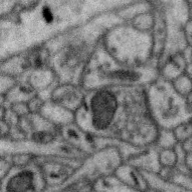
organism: Zebra finch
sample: Brain